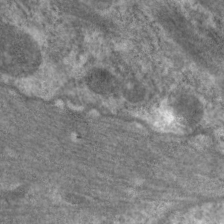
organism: C. elegans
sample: Pharynx